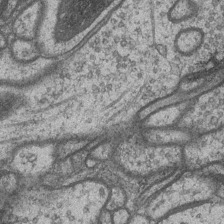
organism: Drosophila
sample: Optic medulla